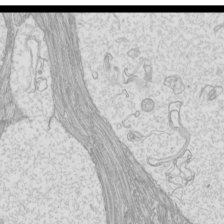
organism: Mouse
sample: Cilia; mouse epididymis